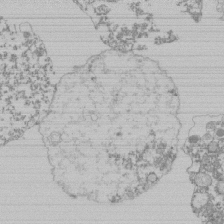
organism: Mouse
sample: Activated Pmel transgenic CD8+ T Cells